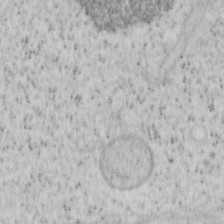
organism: Human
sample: HeLa cells